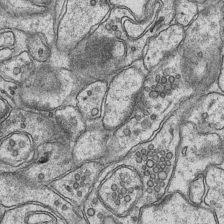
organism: Mouse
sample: CA1 Hippocampus